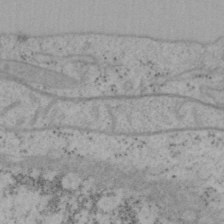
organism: Human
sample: HeLa cells